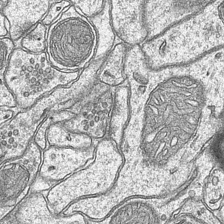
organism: Mouse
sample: CA1 Hippocampus